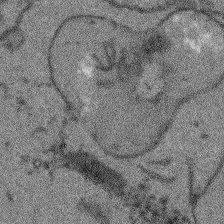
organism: Arabidopsis thaliana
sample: Root tip